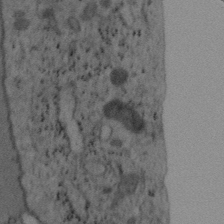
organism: Human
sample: HeLa cells